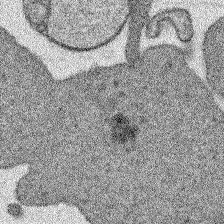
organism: Human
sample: HeLa cells